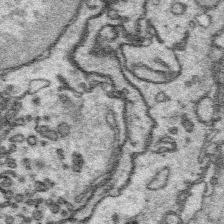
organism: Platynereis dumerilii